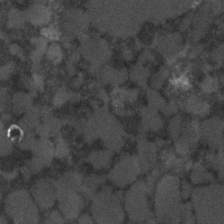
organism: C. elegans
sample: C. elegans embryo